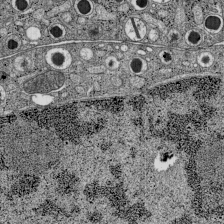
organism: C57BL Mouse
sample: Pancreatic islet